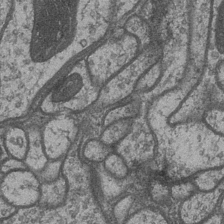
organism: Drosophila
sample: Optic medulla